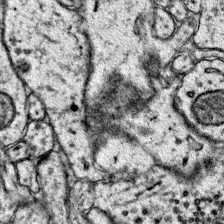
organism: Mouse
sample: Primary visual cortex